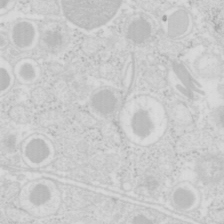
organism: Mouse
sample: Pancreas